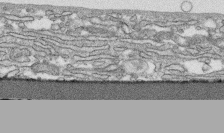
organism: Human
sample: CRL-1474